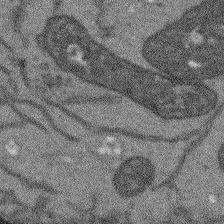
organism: Arabidopsis thaliana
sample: Root tip